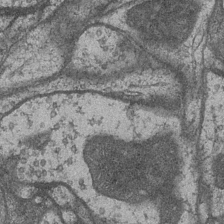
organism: Drosophila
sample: Optic medulla